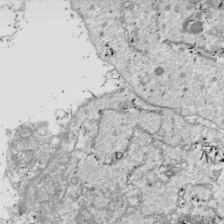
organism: Drosophila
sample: Cell division; meiosis; drosophila spermatocytes